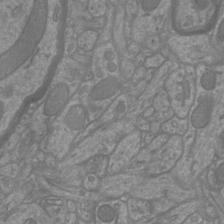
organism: Mouse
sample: Cortical neurons